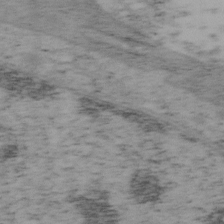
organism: Mouse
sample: OT-I killer T cells with ID8 ovarian cancer cells